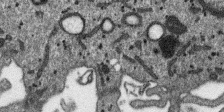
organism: Human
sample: Lung epithelial cells infected with SARS-CoV-2